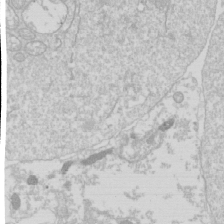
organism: Drosophila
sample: Cell division; meiosis; drosophila spermatocytes